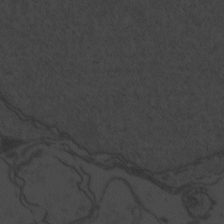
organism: Zebrafish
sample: Macrophage infected with Toxoplasma gondii